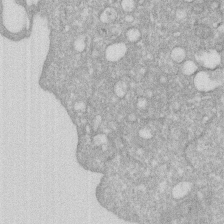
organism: Human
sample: HIV infected U937 cells